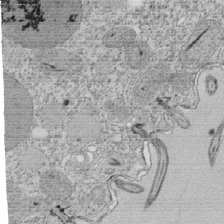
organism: Tetrahymena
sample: Cilia in tetrahymena